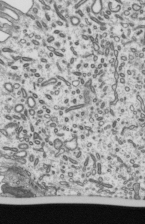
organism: Mouse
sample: Mouse epididymis efferent ductule cilia